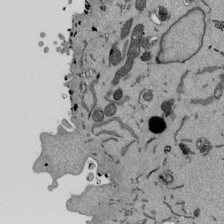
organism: Mouse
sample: ED-1 cell nuclei; centrioles